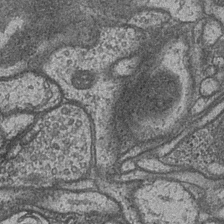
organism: Drosophila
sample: Optic medulla